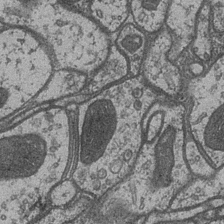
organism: Drosophila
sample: Optic medulla